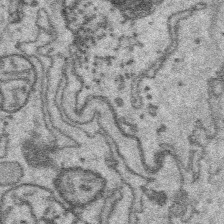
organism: Platynereis dumerilii